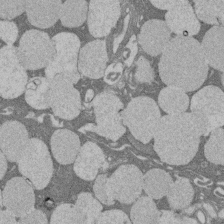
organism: Rat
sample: Salivary granule